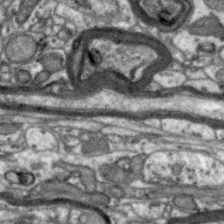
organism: Zebra finch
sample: Brain